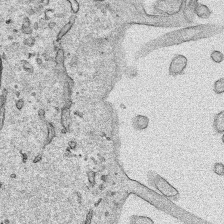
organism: Human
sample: Mitochondria in HCT116 cells